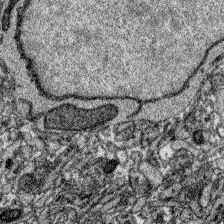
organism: Zebrafish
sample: Larval olfactory bulb